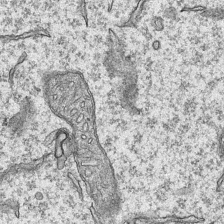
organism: Mouse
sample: CA1 Hippocampus